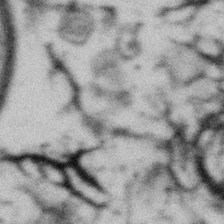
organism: Gemmata obscuriglobus